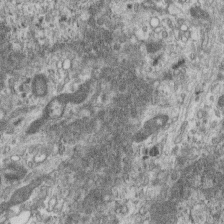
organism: Mouse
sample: Centriole in ependymal cells